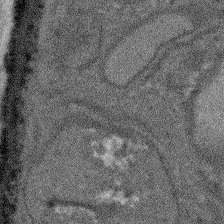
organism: Arabidopsis thaliana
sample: Root tip